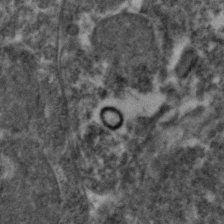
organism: Zebrafish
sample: Zebrafish embryo